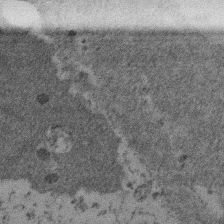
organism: Mouse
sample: Dividing mouse embryo 1 cell stage